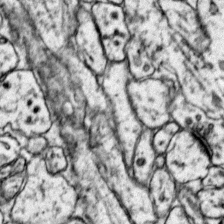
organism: Mouse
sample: Primary visual cortex